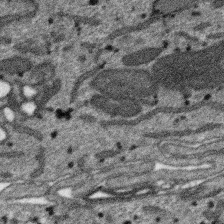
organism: Human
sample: Lung epithelial cells infected with SARS-CoV-2